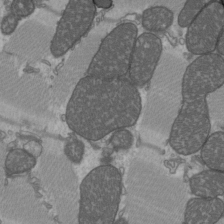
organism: C57BL Mouse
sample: Heart